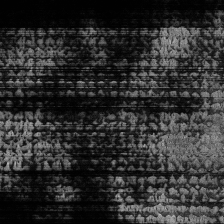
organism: Human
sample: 1205lu cells